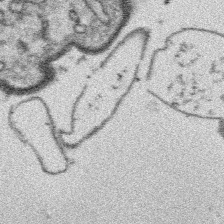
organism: Platynereis dumerilii